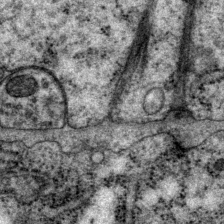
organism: P. pacificus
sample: Pharynx